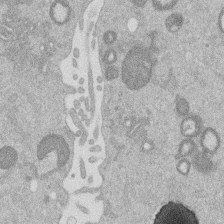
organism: Mouse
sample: Dividing mouse embryo 1 cell stage